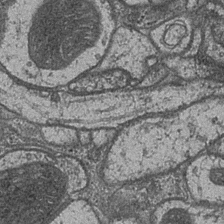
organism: Drosophila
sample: Optic medulla